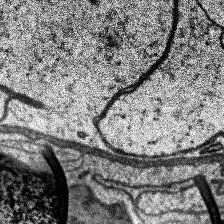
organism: Human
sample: Temporal Lobe